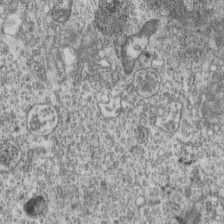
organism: Mouse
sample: Centriole in ependymal cells